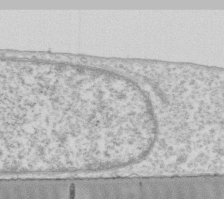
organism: Human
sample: Fibroblast cells